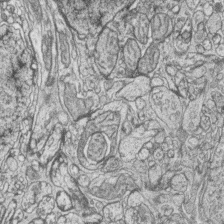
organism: Zebrafish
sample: synaptic ribbons in rod cells and cone cells